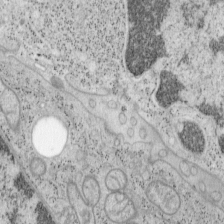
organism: Mouse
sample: OT-I killer T cells with ID8 ovarian cancer cells